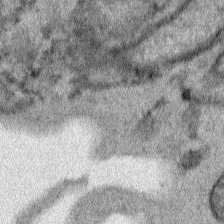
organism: Human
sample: Mitochondria in HCT116 cells